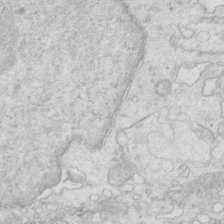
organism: Mouse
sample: Multiciliated cells